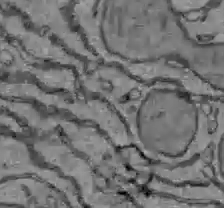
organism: C57BL Mouse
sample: Liver